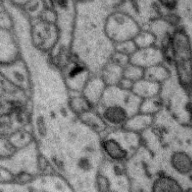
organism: Zebra finch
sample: Brain